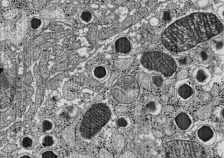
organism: C57BL Mouse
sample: Pancreatic islet